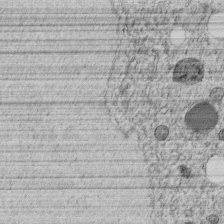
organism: C. elegans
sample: C. elegans embryo early stage